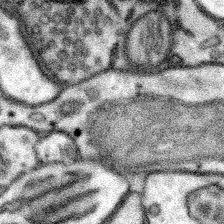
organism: Mouse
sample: Somatosensory cortex neuropil